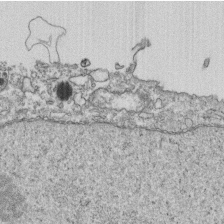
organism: Human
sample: HeLa cell HIV synapse